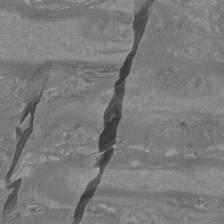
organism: Mouse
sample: Cortical neurons